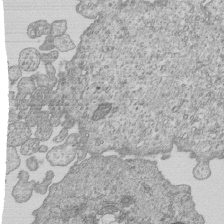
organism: Human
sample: MDA-MB-231 cells